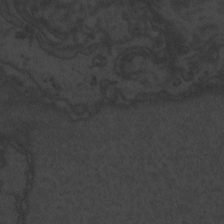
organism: Zebrafish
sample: Macrophage infected with Toxoplasma gondii